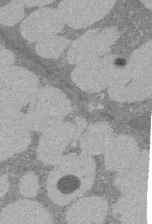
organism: Rat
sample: Salivary granule